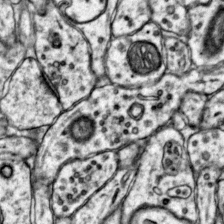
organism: Mouse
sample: Primary visual cortex